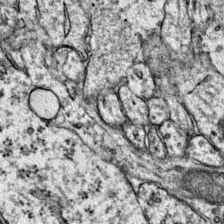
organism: Mouse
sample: Primary visual cortex